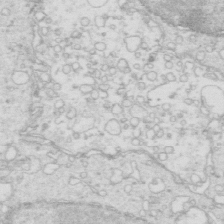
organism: Mouse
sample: Multiciliated cells